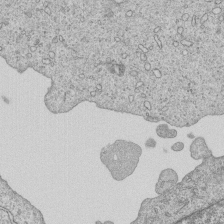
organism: Human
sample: MDA-MB-231 cells